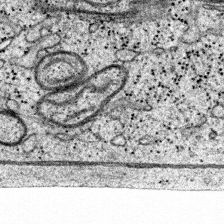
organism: Human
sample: HeLa cells